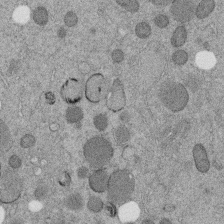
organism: C. elegans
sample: C. elegans embryo early stage